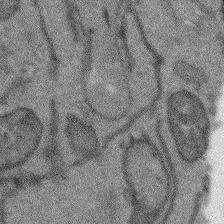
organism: Arabidopsis thaliana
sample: Root tip